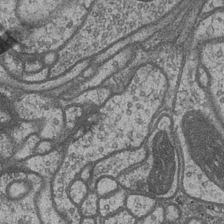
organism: Drosophila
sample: Optic medulla